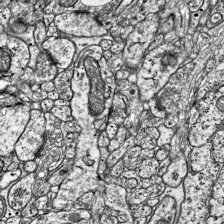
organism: Mouse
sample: Visual Cortex